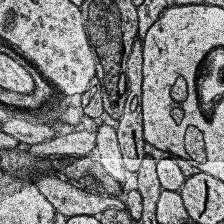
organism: Human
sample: Temporal Lobe